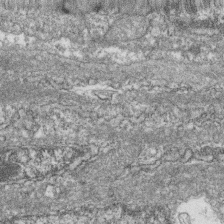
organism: Zebrafish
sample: Cilia; retinal pigment epithelium